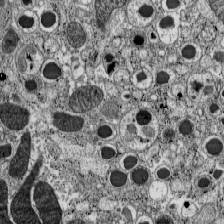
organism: C57BL Mouse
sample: Pancreatic islet